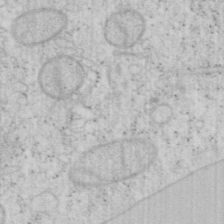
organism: Human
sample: HeLa cells